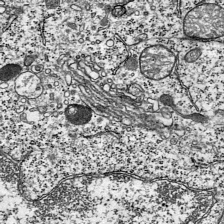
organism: Mouse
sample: Visual Cortex